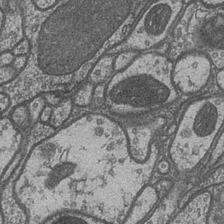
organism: Drosophila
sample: Optic medulla